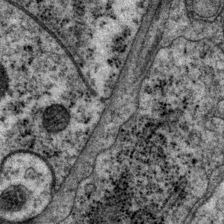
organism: P. pacificus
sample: Pharynx